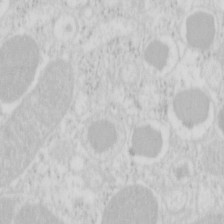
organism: Mouse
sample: Pancreas